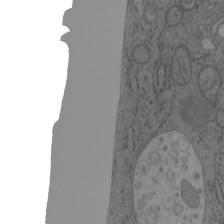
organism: Mouse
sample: OT-I killer T cells with ID8 ovarian cancer cells